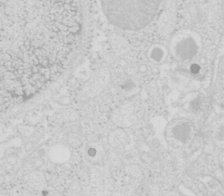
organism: Mouse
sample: Pancreas